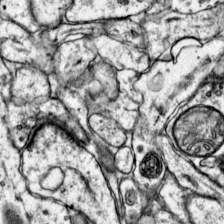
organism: Mouse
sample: Primary visual cortex